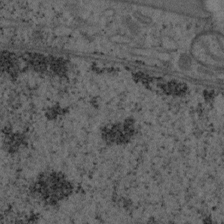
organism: Human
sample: HeLa cells